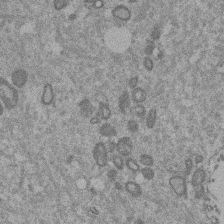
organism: Mouse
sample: Dividing mouse embryo 1 cell stage